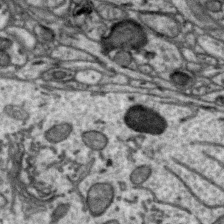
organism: Zebra finch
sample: Brain